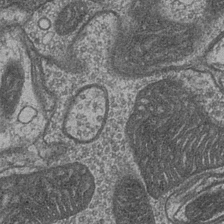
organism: Drosophila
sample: Optic medulla